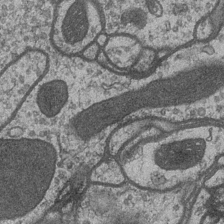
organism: Drosophila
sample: Optic medulla